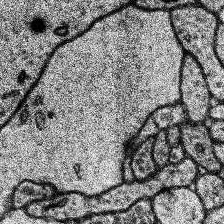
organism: Human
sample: Temporal Lobe